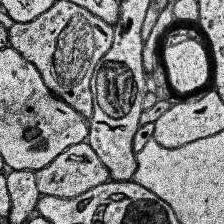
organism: Human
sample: Temporal Lobe